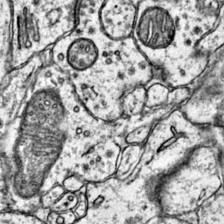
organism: Mouse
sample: Primary visual cortex